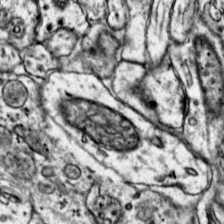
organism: Mouse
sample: Primary visual cortex